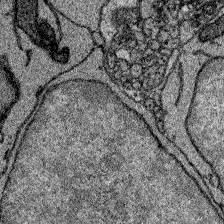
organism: Zebrafish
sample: Larval olfactory bulb